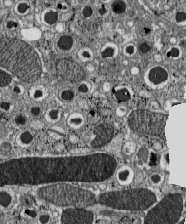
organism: C57BL Mouse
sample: Pancreatic islet